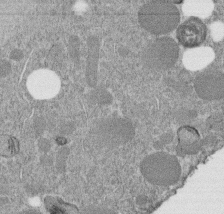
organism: C. elegans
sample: C. elegans embryo early stage